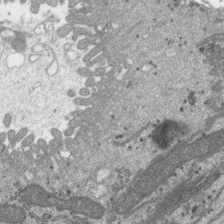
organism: Human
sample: Lung epithelial cells infected with SARS-CoV-2